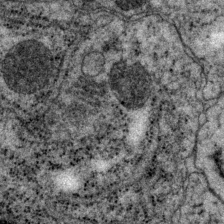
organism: P. pacificus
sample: Pharynx